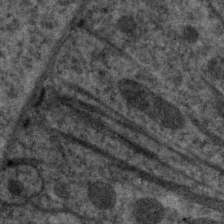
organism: C. elegans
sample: Pharynx